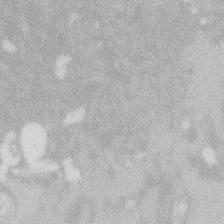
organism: Zebrafish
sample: Macrophage